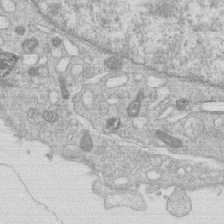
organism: Human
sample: Macrophage cells